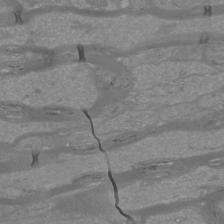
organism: Mouse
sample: Cortical neurons